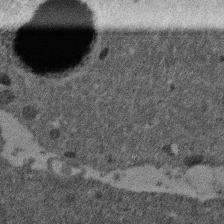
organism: Mouse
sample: Dividing mouse embryo 1 cell stage